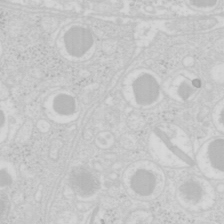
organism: Mouse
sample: Pancreas